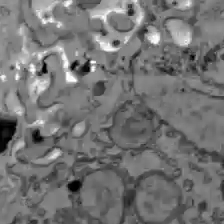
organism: C57BL Mouse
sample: Liver